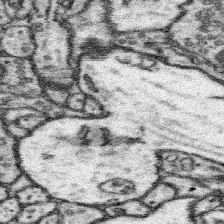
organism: Mouse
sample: Somatosensory cortex neuropil